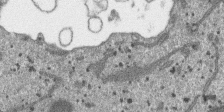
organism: Human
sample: Lung epithelial cells infected with SARS-CoV-2